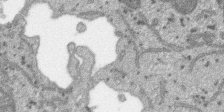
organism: Human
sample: Lung epithelial cells infected with SARS-CoV-2